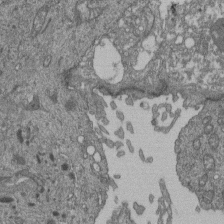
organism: Human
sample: Retinal organoid Rod and Cone cells